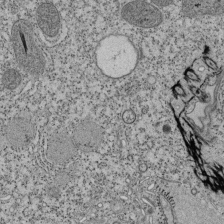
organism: Tetrahymena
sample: Cilia in tetrahymena